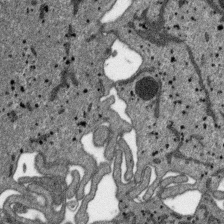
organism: Human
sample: Lung epithelial cells, uninfected (mock) control